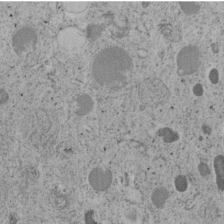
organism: C. elegans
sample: C. elegans embryo early stage